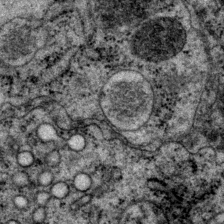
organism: P. pacificus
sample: Pharynx